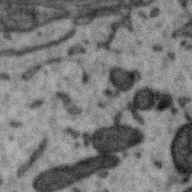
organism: Zebra finch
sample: Brain